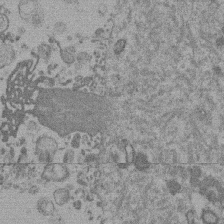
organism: Mouse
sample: Dividing mouse embryo 1 cell stage